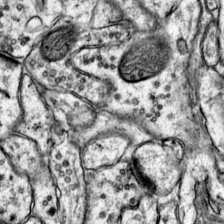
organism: Mouse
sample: Primary visual cortex